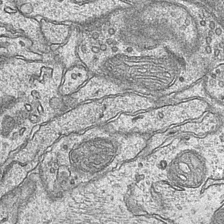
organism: Mouse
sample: CA1 Hippocampus